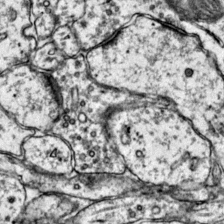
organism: Mouse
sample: Primary visual cortex